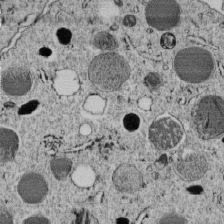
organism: C. elegans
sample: C. elegans embryo early stage